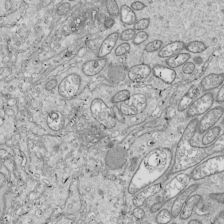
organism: Drosophila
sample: Cell division; meiosis; drosophila spermatocytes